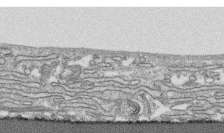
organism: Human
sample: CRL-1474